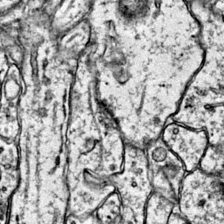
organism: Mouse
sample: Primary visual cortex